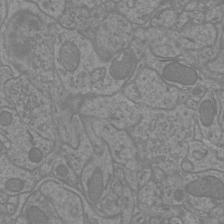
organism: Mouse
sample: Cortical neurons